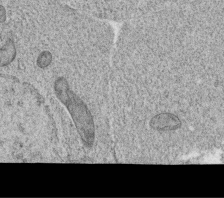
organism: C. elegans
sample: C. elegans oocyte; sperm cells